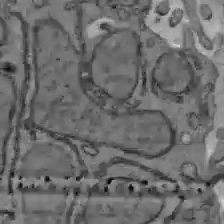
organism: C57BL Mouse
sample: Liver